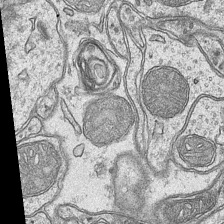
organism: Mouse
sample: CA1 Hippocampus